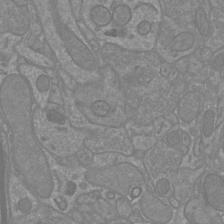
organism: Mouse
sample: Cortical neurons